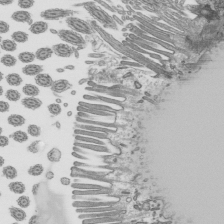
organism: Mouse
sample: Mouse epididymis efferent ductule cilia